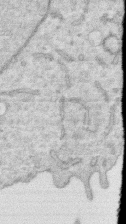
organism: Human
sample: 1205lu cells